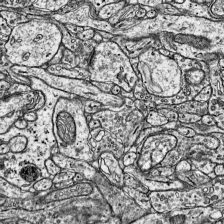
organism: Mouse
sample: Visual Cortex